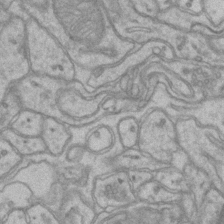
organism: Mouse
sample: CA1 Hippocampus